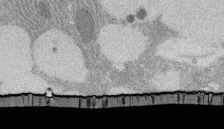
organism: Rat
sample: Salivary granule